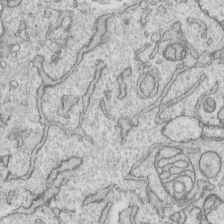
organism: Human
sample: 1205lu cells